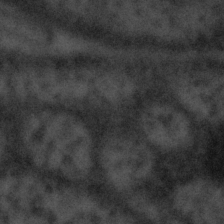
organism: Tuwongella immobilis